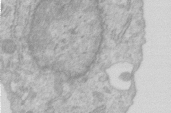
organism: Human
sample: Centriole in RPE cells